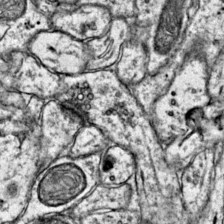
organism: Mouse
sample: Primary visual cortex